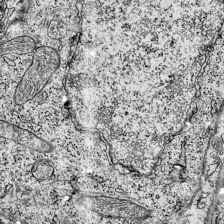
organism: Mouse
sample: Visual Cortex